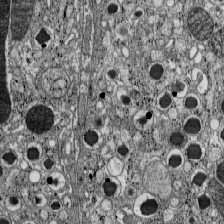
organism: C57BL Mouse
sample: Pancreatic islet